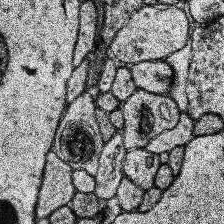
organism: Human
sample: Temporal Lobe